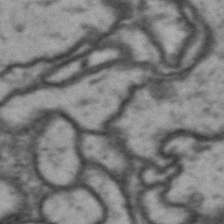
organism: Drosophila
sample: Brain